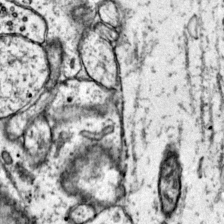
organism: Mouse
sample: Primary visual cortex